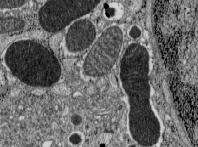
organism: C57BL Mouse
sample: Pancreatic islet